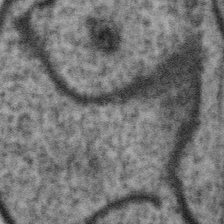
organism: Gemmata obscuriglobus